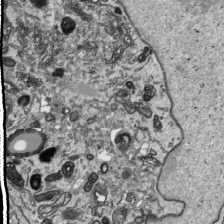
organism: Human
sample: Mitochondria in HCT116 cells